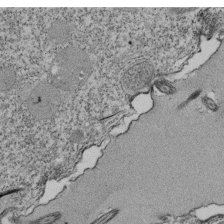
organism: Tetrahymena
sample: Cilia in tetrahymena